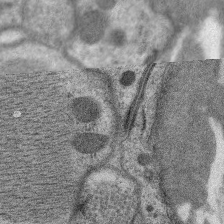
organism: C. elegans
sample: Pharynx